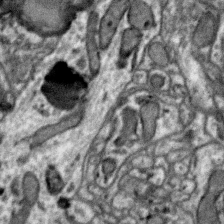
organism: Zebra finch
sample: Brain